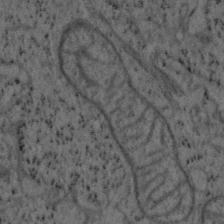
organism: Human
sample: HeLa cells